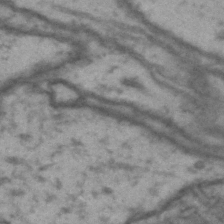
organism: Drosophila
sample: Brain